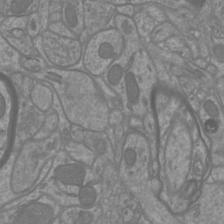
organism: Mouse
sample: Cortical neurons